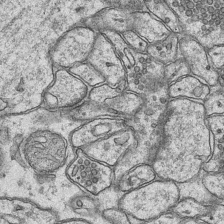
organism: Mouse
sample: CA1 Hippocampus